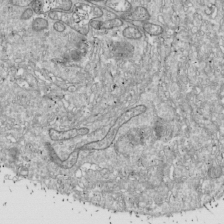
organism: Drosophila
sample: Cell division; meiosis; drosophila spermatocytes